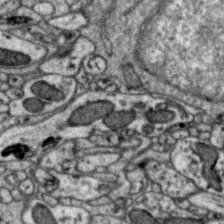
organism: Zebra finch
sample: Brain